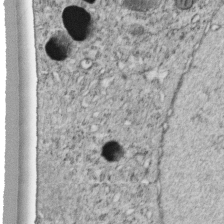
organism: C. elegans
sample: C. elegans embryo early stage